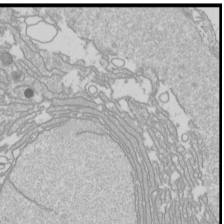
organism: Drosophila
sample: Cell division; meiosis; drosophila spermatocytes